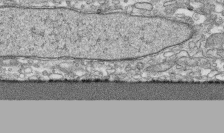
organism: Human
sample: CRL-1474